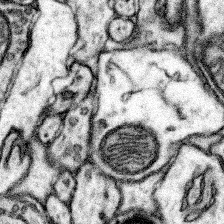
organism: Mouse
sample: Somatosensory cortex neuropil